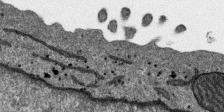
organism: Human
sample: Lung epithelial cells, uninfected (mock) control